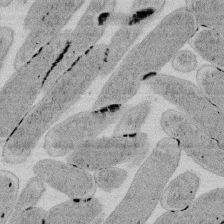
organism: E. coli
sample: Bacterial nucleoid